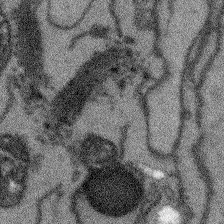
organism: Arabidopsis thaliana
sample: Root tip